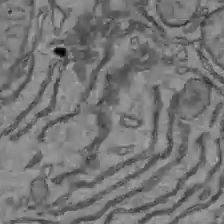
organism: C57BL Mouse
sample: Liver